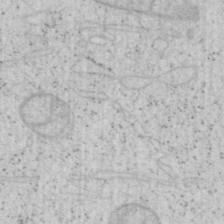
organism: Human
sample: HeLa cells